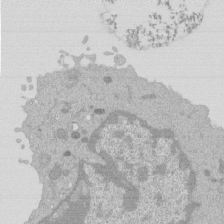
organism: Mouse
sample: Activated Pmel transgenic CD8+ T Cells